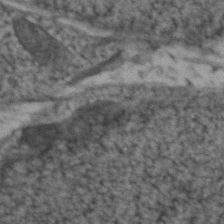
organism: Zebrafish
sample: Zebrafish embryo